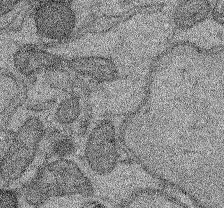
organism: Human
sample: HeLa cells